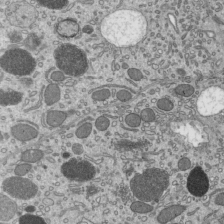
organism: Mouse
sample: Mouse epididymis efferent ductule cilia